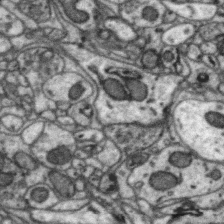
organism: Zebra finch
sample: Brain